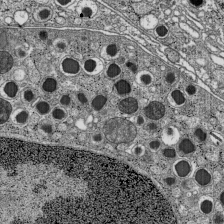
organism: C57BL Mouse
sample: Pancreatic islet